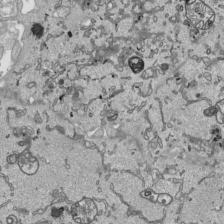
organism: Human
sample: Mitochondria in HCT116 cells